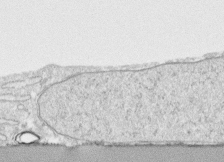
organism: Human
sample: CRL-1474